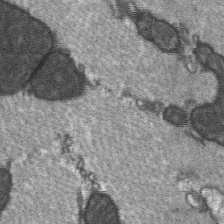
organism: C57BL Mouse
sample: Soleus